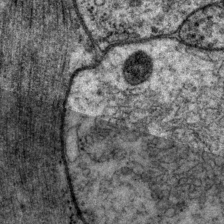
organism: P. pacificus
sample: Pharynx